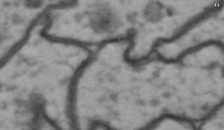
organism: Drosophila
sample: Brain